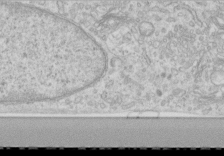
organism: Human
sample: Centriole in RPE cells